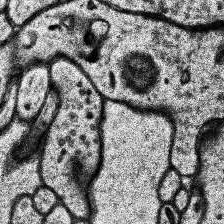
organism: Human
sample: Temporal Lobe